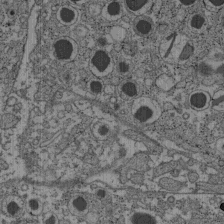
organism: C57BL Mouse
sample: Pancreatic islet